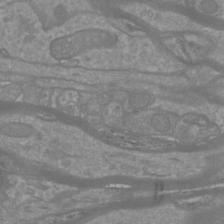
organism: Mouse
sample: Cortical neurons